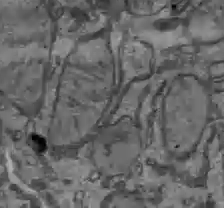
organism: C57BL Mouse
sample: Liver